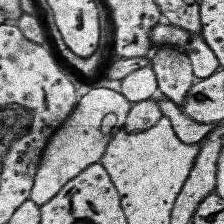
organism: Human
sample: Temporal Lobe